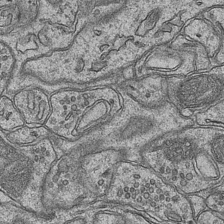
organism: Mouse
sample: CA1 Hippocampus